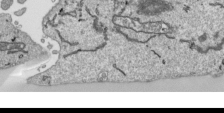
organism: Human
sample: Mitochondria in HCT116 cells